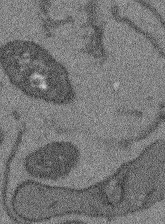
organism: Arabidopsis thaliana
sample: Root tip